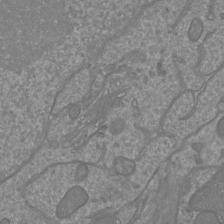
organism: Mouse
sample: Cortical neurons